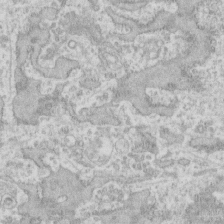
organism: Human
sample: Fibroblast cells